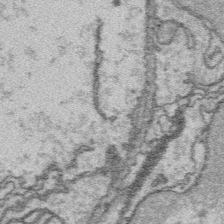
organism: Platynereis dumerilii